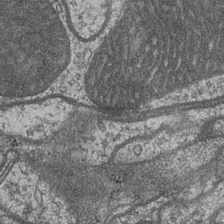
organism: Drosophila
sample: Optic medulla